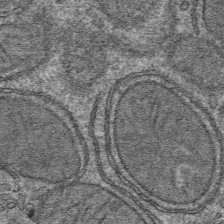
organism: Mouse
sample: Mouse hepatocytes